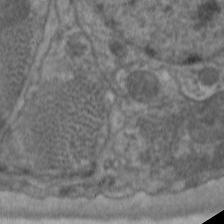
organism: C. elegans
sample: Pharynx